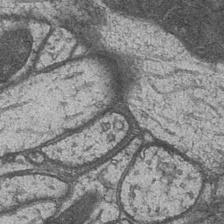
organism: Drosophila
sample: Optic medulla